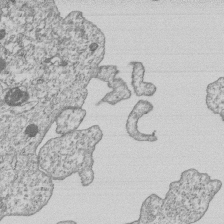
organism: Human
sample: MDA-MB-231 cells